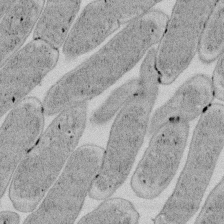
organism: E. coli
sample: Bacterial nucleoid